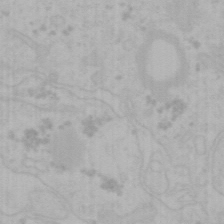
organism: Mouse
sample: Choroid plexus